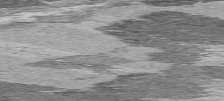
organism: C57BL Mouse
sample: Heart